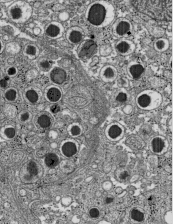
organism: C57BL Mouse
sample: Pancreatic islet